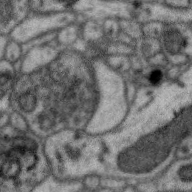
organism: Zebra finch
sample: Brain